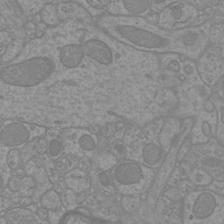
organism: Mouse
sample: Cortical neurons